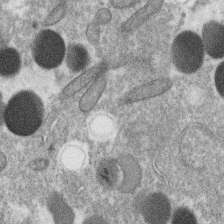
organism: C. elegans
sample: C. elegans oocyte; sperm cells